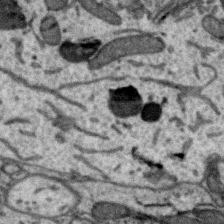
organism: Zebra finch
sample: Brain